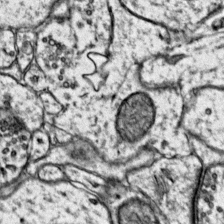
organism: Mouse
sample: Primary visual cortex